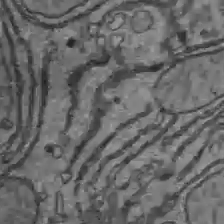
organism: C57BL Mouse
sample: Liver